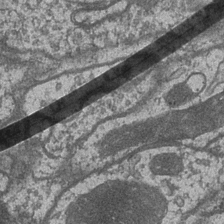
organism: Drosophila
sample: Optic medulla